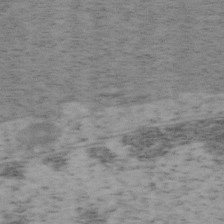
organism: Mouse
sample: OT-I killer T cells with ID8 ovarian cancer cells